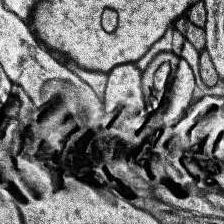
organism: Human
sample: Temporal Lobe